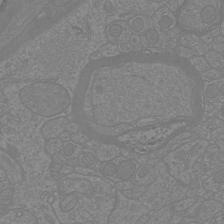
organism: Mouse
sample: Cortical neurons